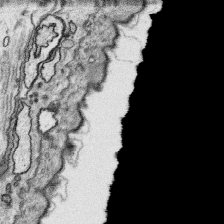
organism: Platynereis dumerilii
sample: Parapodia